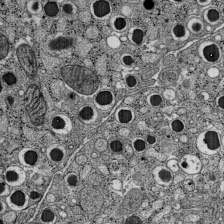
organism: C57BL Mouse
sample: Pancreatic islet